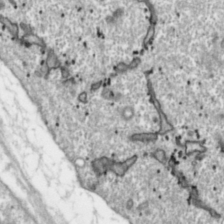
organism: Toxoplasma gondii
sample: Parasites in a vacuole inside a host cell